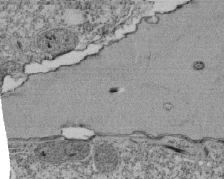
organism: Tetrahymena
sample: Cilia in tetrahymena